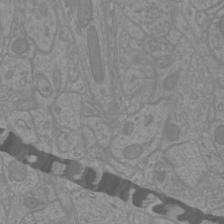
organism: Mouse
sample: Cortical neurons